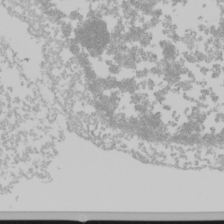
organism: Mouse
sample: Cancer cell death in ED-1 cells